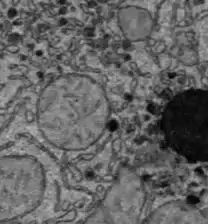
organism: C57BL Mouse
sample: Liver